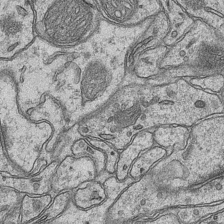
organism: Mouse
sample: CA1 Hippocampus